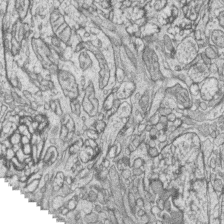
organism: Zebrafish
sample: synaptic ribbons in rod cells and cone cells